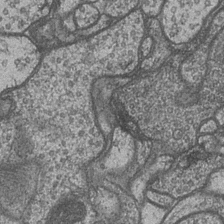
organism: Drosophila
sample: Optic medulla